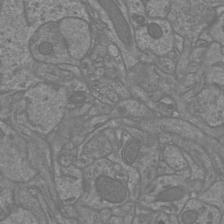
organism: Mouse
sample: Cortical neurons